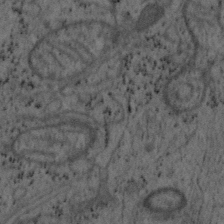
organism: Human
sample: HeLa cells